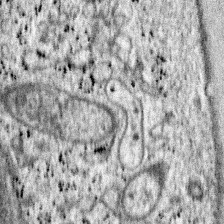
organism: Human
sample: HeLa cells